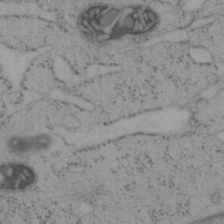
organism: Mouse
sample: OT-I killer T cells with ID8 ovarian cancer cells